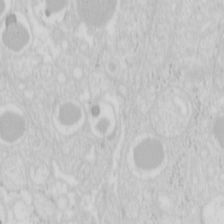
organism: Mouse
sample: Pancreas